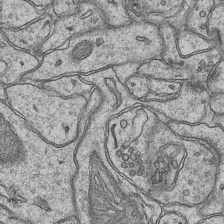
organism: Mouse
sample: CA1 Hippocampus